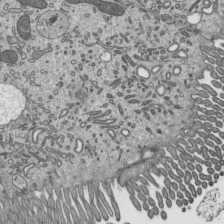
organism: Mouse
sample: Mouse epididymis efferent ductule cilia